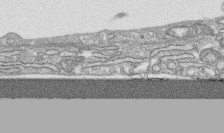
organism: Human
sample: CRL-1474